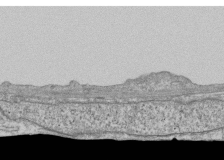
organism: Human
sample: Fibroblast cells